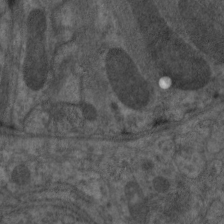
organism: C. elegans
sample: Pharynx